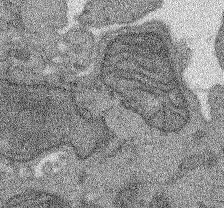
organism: Human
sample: HeLa cells